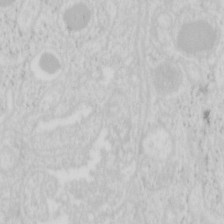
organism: Mouse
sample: Pancreas